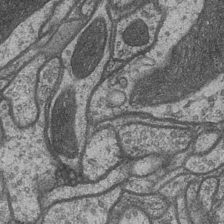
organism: Drosophila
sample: Optic medulla